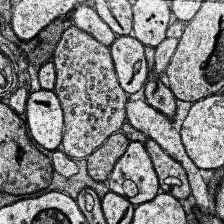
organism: Human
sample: Temporal Lobe